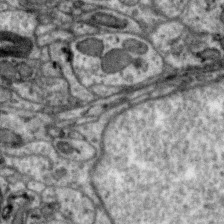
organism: Zebra finch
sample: Brain